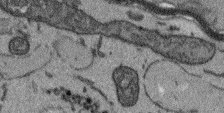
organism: Arabidopsis thaliana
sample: Root tip